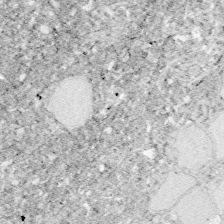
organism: Zebrafish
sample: Whole-Brain